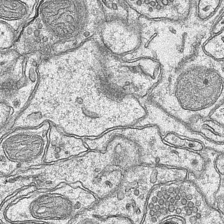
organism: Mouse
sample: CA1 Hippocampus